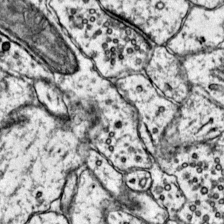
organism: Mouse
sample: Primary visual cortex